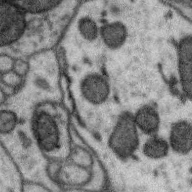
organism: Zebra finch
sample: Brain